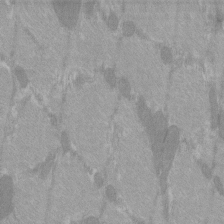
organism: C57BL Mouse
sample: Tibialis anterior muscle cell